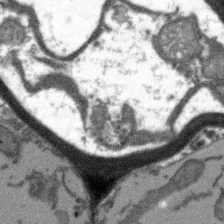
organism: Arabidopsis thaliana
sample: Root tip